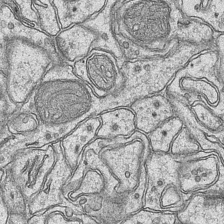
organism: Mouse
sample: CA1 Hippocampus